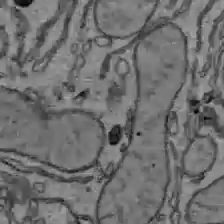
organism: C57BL Mouse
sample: Liver